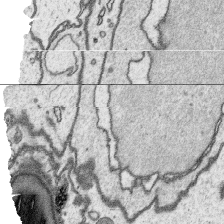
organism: Platynereis dumerilii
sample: Parapodia